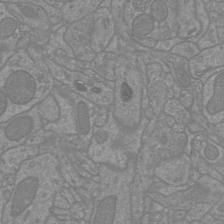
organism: Mouse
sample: Cortical neurons